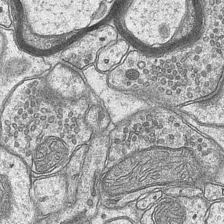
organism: Mouse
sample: CA1 Hippocampus